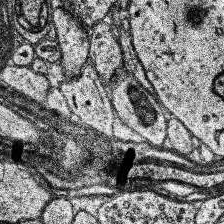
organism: Human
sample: Temporal Lobe